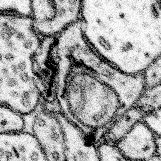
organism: Mouse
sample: Somatosensory cortex neuropil